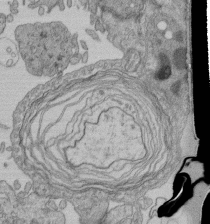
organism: Human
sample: Retinal organoid Rod and Cone cells